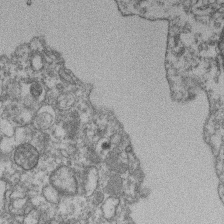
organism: Mouse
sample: T cell stromal cell synapse